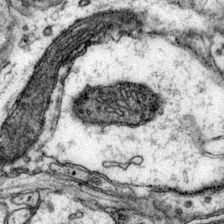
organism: Mouse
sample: Primary visual cortex